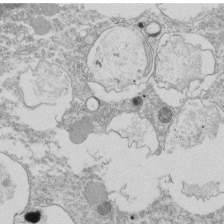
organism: Tetrahymena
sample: Cilia in tetrahymena